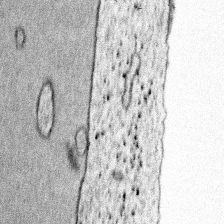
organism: Human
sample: HeLa cells